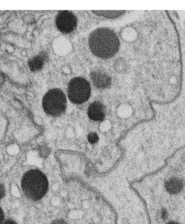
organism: C. elegans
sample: C. elegans oocyte; sperm cells